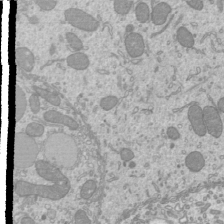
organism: Mouse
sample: Cilia; mouse epididymis